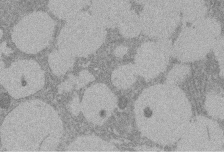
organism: Rat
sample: Salivary granule